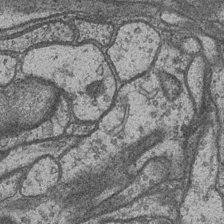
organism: Drosophila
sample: Optic medulla